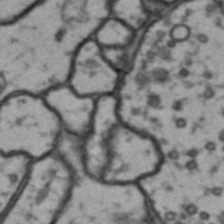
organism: Drosophila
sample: Brain